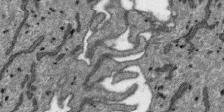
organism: Human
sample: Lung epithelial cells, uninfected (mock) control